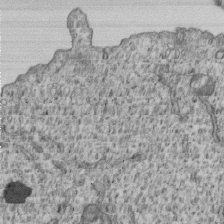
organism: Human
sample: MDA-MB-231 cells